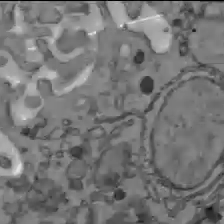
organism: C57BL Mouse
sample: Liver